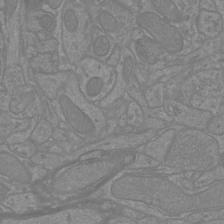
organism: Mouse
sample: Cortical neurons